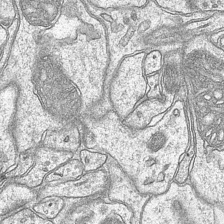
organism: Mouse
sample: CA1 Hippocampus